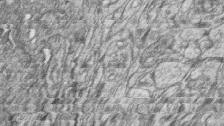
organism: Zebrafish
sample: synaptic ribbons in rod cells and cone cells